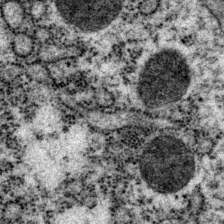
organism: P. pacificus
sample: Pharynx